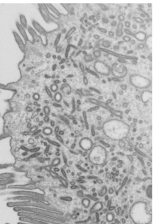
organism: Mouse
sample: Mouse epididymis efferent ductule cilia